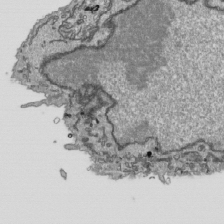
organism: Human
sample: Mitochondria in HCT116 cells